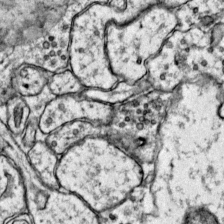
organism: Mouse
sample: Primary visual cortex